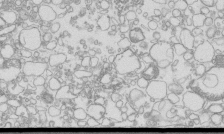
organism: Mouse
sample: Macrophages